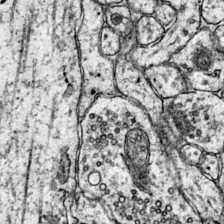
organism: Mouse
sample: Primary visual cortex